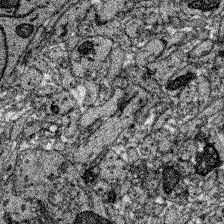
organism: Zebrafish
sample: Larval olfactory bulb